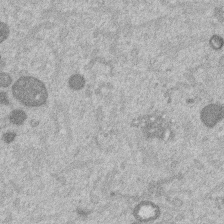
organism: Mouse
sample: Dividing mouse embryo 1 cell stage